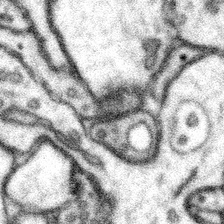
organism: Mouse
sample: Somatosensory cortex neuropil